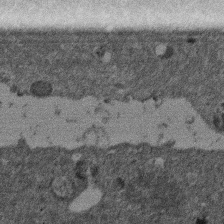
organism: Mouse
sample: Dividing mouse embryo 1 cell stage